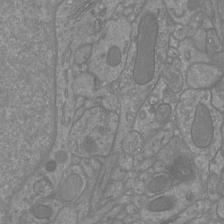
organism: Mouse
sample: Cortical neurons